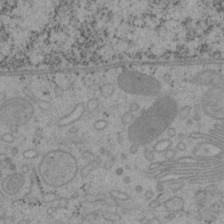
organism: Human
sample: HeLa cells